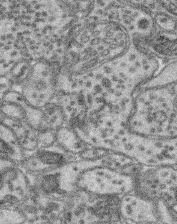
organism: Mouse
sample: Retina